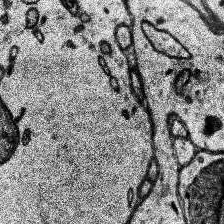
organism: Human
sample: Temporal Lobe